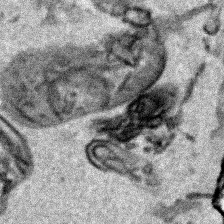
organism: Human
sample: Mitochondria in HCT116 cells